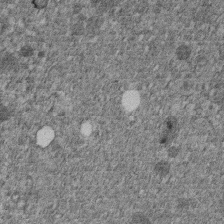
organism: C. elegans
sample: C. elegans embryo early stage